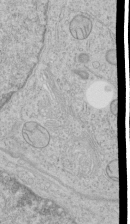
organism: Human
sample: Mitochondria in HCT116 cells